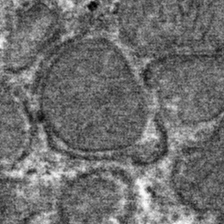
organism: Mouse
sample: Mouse hepatocytes